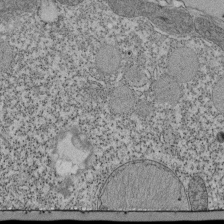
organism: Tetrahymena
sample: Cilia in tetrahymena